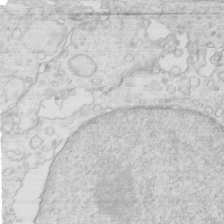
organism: Mouse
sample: Multiciliated cells